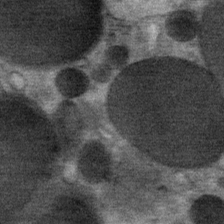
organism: Mouse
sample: Mouse Salivary gland